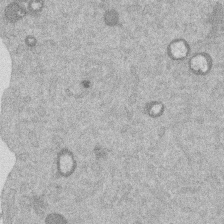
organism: Mouse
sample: Dividing mouse embryo 1 cell stage